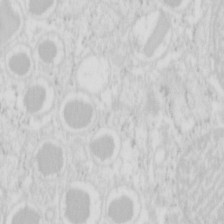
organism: Mouse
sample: Pancreas